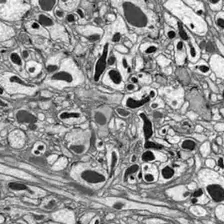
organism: Drosophila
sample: Optic lobe